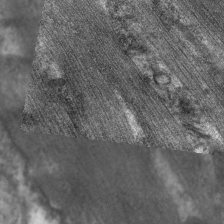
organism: C. elegans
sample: Pharynx